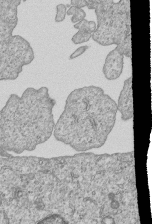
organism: Human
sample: MDA-MB-231 cells